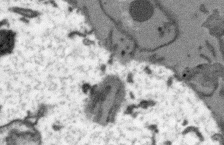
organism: Arabidopsis thaliana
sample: Root tip